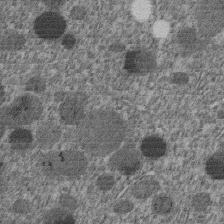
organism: C. elegans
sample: C. elegans embryo early stage